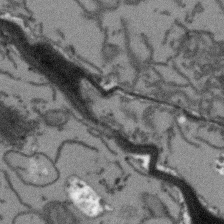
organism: Arabidopsis thaliana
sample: Root tip